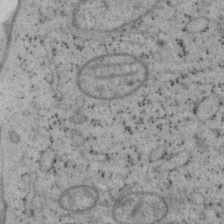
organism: Human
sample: HeLa cells